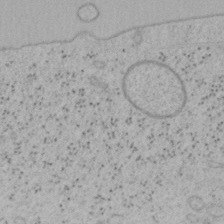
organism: Human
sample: HeLa cells